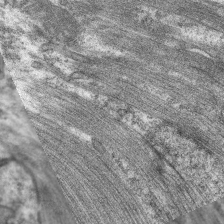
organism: C. elegans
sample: Pharynx